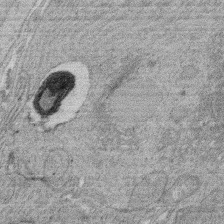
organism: Rat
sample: Salivary granule